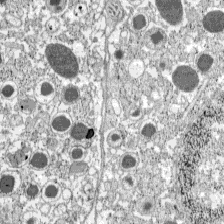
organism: C57BL Mouse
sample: Pancreatic islet